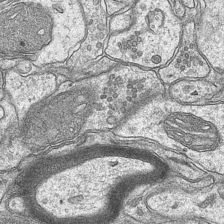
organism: Mouse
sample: CA1 Hippocampus